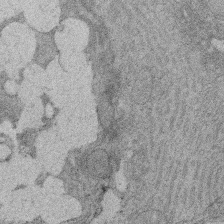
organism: Rat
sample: Salivary granule